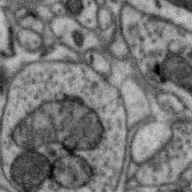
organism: Zebra finch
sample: Brain